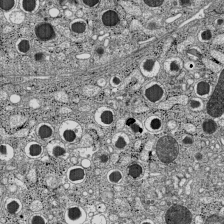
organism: C57BL Mouse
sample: Pancreatic islet